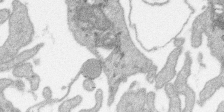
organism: Human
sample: Lung epithelial cells infected with SARS-CoV-2